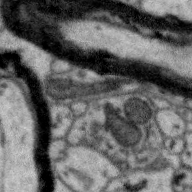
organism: Zebra finch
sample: Brain